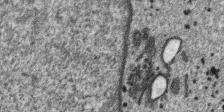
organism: Human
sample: Lung epithelial cells infected with SARS-CoV-2